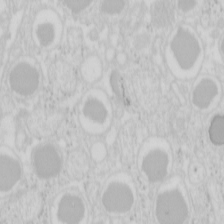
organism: Mouse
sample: Pancreas